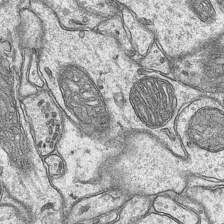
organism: Mouse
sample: CA1 Hippocampus